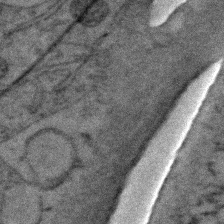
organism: Zebrafish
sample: Zebrafish embryo